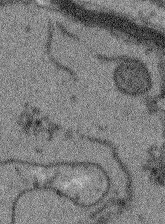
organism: Arabidopsis thaliana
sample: Root tip